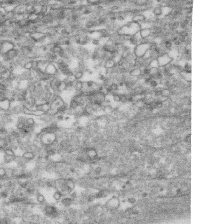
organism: Human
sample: CRL-1474